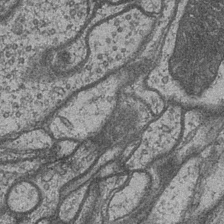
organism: Drosophila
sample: Optic medulla